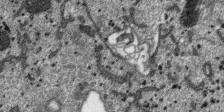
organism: Human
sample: Lung epithelial cells infected with SARS-CoV-2